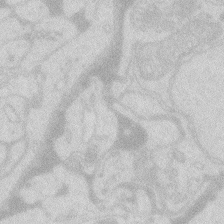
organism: Zebrafish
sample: Macrophage